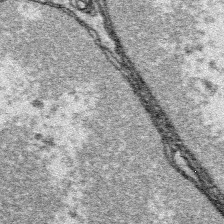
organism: Platynereis dumerilii